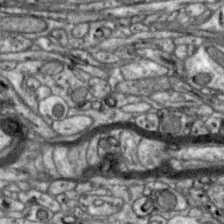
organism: Zebra finch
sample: Brain